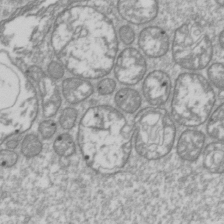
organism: Drosophila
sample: Cell division; meiosis; drosophila spermatocytes